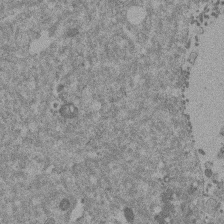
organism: Mouse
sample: Dividing mouse embryo 1 cell stage